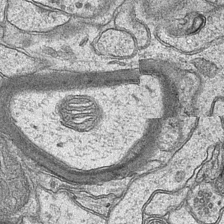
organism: Mouse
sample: CA1 Hippocampus